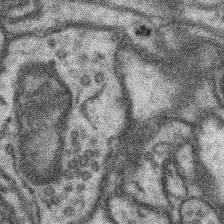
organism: Mouse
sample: Somatosensory cortex neuropil